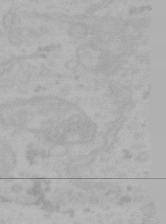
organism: Mouse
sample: Choroid plexus